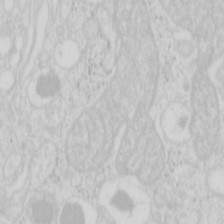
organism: Mouse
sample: Pancreas